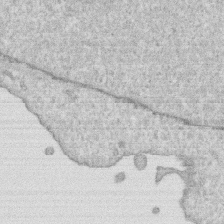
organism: Human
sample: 1205lu cells